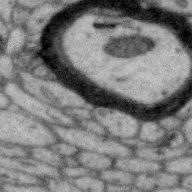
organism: Zebra finch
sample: Brain